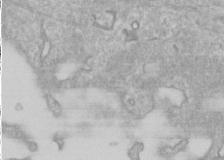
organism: Human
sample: Cilia; basal body in RPE cells